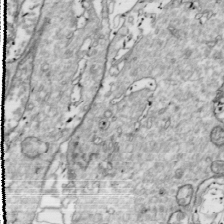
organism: Drosophila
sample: Cell division; meiosis; drosophila spermatocytes